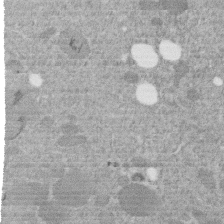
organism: C. elegans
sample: C. elegans embryo early stage